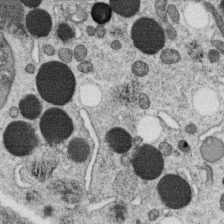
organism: C. elegans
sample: C. elegans oocyte; sperm cells